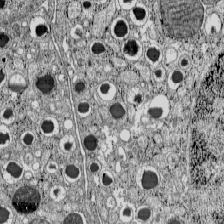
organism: C57BL Mouse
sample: Pancreatic islet